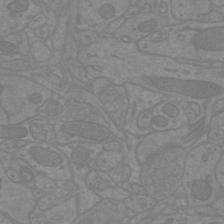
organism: Mouse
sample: Cortical neurons